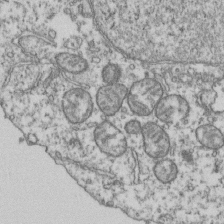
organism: Human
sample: Activated Jurkat CD4+ T cells